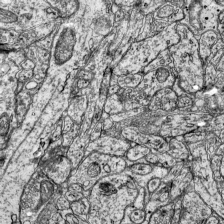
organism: Mouse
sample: Visual Cortex